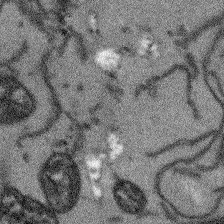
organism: Arabidopsis thaliana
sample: Root tip